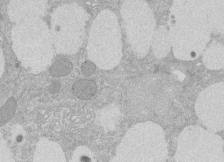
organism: Rat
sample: Salivary granule